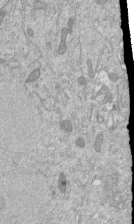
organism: Mouse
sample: ED-1 cell nuclei; centrioles